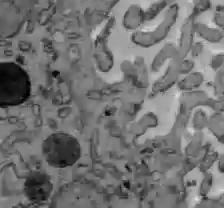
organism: C57BL Mouse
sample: Liver